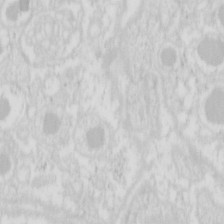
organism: Mouse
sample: Pancreas